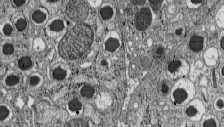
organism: C57BL Mouse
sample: Pancreatic islet